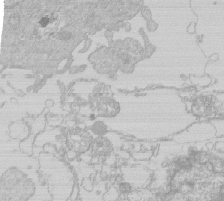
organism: Human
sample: Macrophage cells